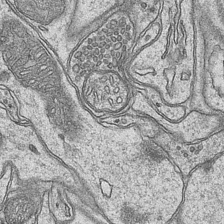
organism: Mouse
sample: CA1 Hippocampus